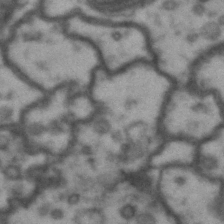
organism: Drosophila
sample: Brain